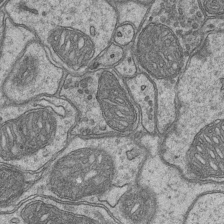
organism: Mouse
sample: CA1 Hippocampus